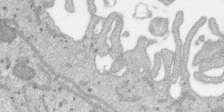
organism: Human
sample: Lung epithelial cells infected with SARS-CoV-2